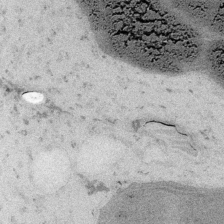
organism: Embia sp.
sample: Silk gland